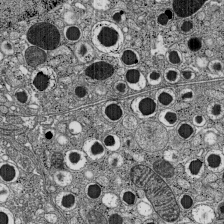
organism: C57BL Mouse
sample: Pancreatic islet